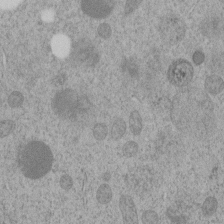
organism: C. elegans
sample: C. elegans embryo early stage